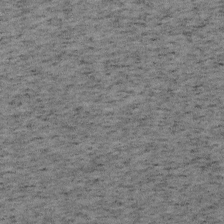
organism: Mouse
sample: OT-I killer T cells with ID8 ovarian cancer cells